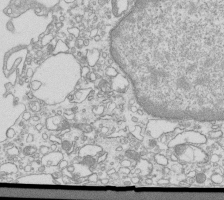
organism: Mouse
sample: Macrophages